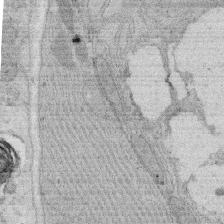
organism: Rat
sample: Salivary granule